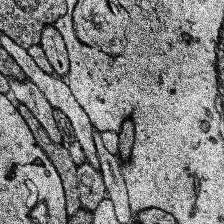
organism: Human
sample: Temporal Lobe